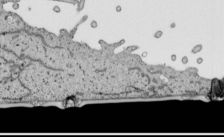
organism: Human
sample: Mitochondria in HCT116 cells